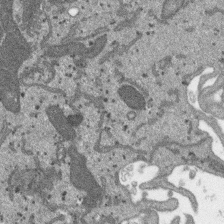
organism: Human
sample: Lung epithelial cells infected with SARS-CoV-2